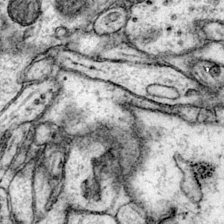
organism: Mouse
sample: Primary visual cortex